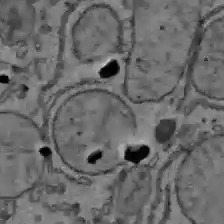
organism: C57BL Mouse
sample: Liver